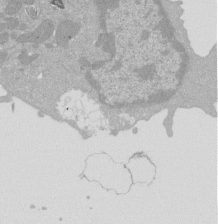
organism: Mouse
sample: Activated Pmel transgenic CD8+ T Cells